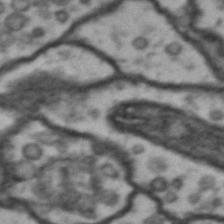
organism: Drosophila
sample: Brain